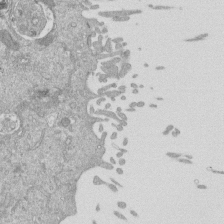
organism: Mouse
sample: ED-1 cell nuclei; centrioles